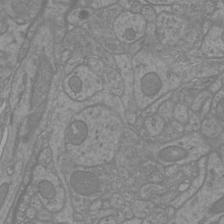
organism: Mouse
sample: Cortical neurons